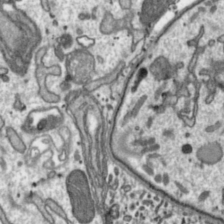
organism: Toxoplasma gondii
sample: Parasites in a vacuole inside a host cell